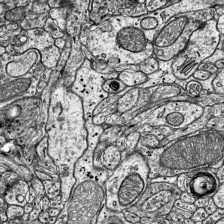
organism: Mouse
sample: Visual Cortex